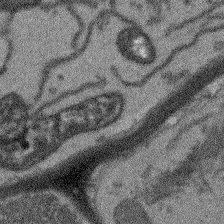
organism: Arabidopsis thaliana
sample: Root tip